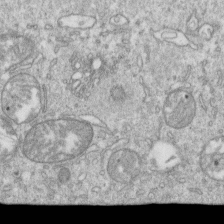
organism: Mouse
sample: Activated OT-1 CD8+ T cells